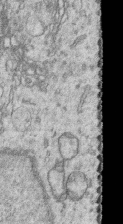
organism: Human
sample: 1205lu cells